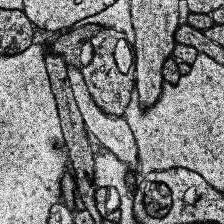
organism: Human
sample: Temporal Lobe